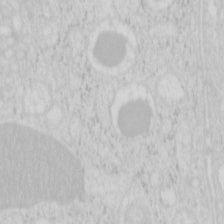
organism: Mouse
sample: Pancreas